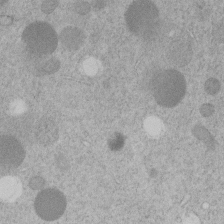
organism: C. elegans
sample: C. elegans embryo early stage